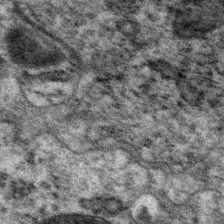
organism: P. pacificus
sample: Pharynx